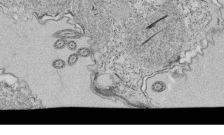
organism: Tetrahymena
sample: Cilia in tetrahymena